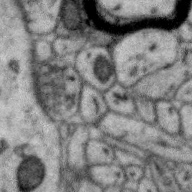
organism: Zebra finch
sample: Brain